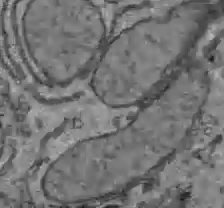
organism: C57BL Mouse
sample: Liver